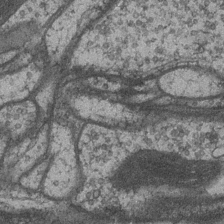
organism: Drosophila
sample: Optic medulla